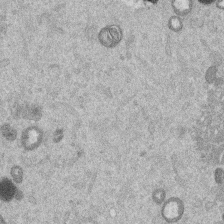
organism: Mouse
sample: Dividing mouse embryo 1 cell stage